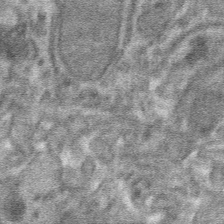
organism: Mouse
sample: Mouse hepatocytes